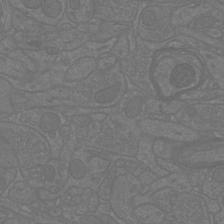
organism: Mouse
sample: Cortical neurons